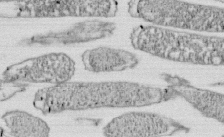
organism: E. coli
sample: Bacterial nucleoid